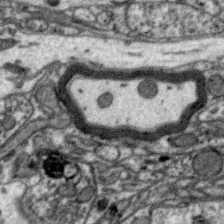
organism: Zebra finch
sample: Brain